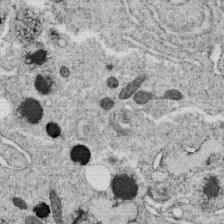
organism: C. elegans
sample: C. elegans oocyte; sperm cells